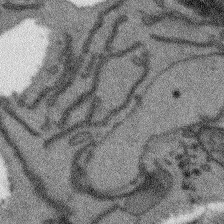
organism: Arabidopsis thaliana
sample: Root tip